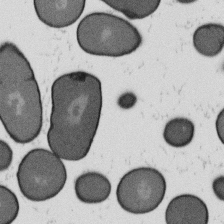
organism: B. subtilis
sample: Bacterial spore